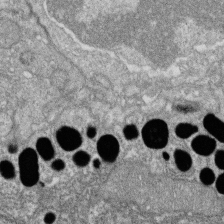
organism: Zebrafish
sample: Cilia; retinal pigment epithelium